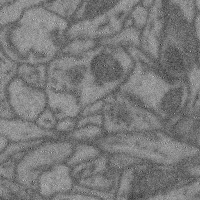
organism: Mouse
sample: Cerebral cortex